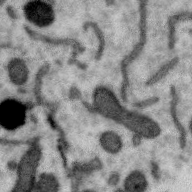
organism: Zebra finch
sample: Brain